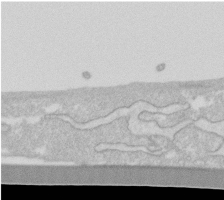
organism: Human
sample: Fibroblast cells